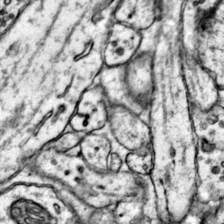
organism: Mouse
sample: Primary visual cortex